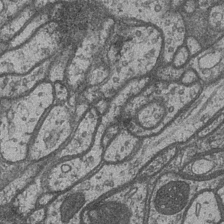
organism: Drosophila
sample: Optic medulla